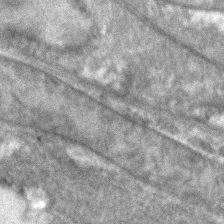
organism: C. elegans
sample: C. elegans embryo